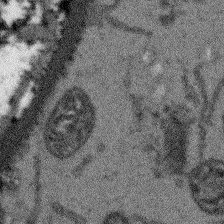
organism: Arabidopsis thaliana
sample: Root tip